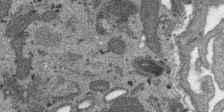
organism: Human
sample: Lung epithelial cells infected with SARS-CoV-2